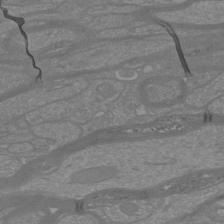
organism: Mouse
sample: Cortical neurons